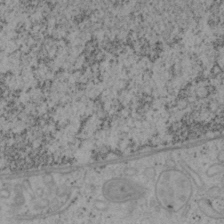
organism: Human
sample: HeLa cells